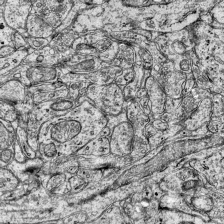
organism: Mouse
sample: Visual Cortex